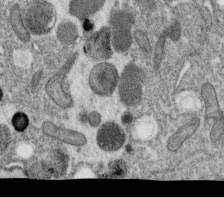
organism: C. elegans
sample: C. elegans oocyte; sperm cells